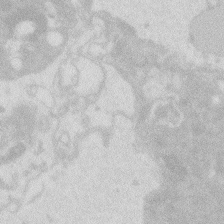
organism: Zebrafish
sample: Macrophage